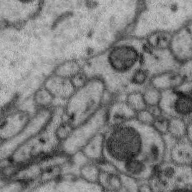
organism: Zebra finch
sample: Brain